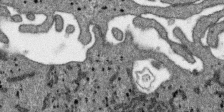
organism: Human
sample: Lung epithelial cells, uninfected (mock) control